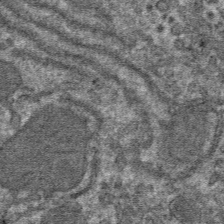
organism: Mouse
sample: Mouse hepatocytes